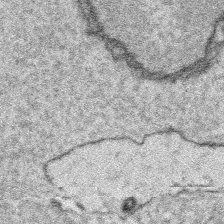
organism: Platynereis dumerilii